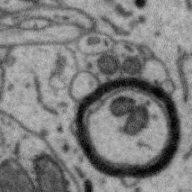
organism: Zebra finch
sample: Brain